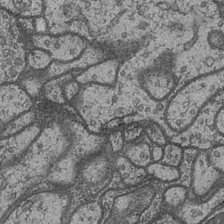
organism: Drosophila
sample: Optic medulla